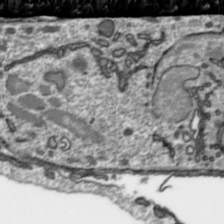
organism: Toxoplasma gondii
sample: Parasites in a vacuole inside a host cell